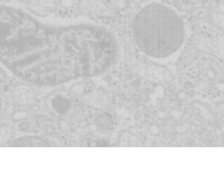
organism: Mouse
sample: Pancreas